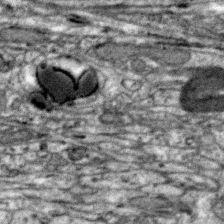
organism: Zebra finch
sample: Brain